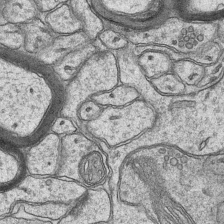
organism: Mouse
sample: CA1 Hippocampus